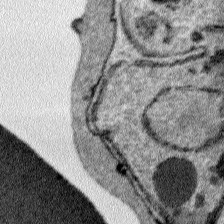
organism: Plasmodium falciparum